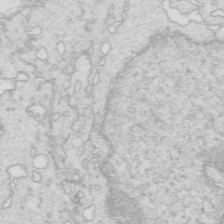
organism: Mouse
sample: Multiciliated cells